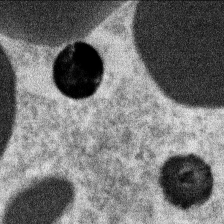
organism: Xenopus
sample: Cilia; centrioles in frog embryo cells